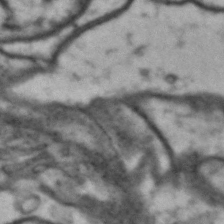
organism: Drosophila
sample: Brain